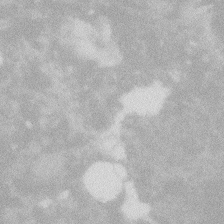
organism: Zebrafish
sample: Macrophage